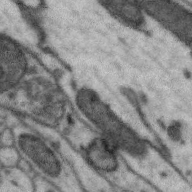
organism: Zebra finch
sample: Brain